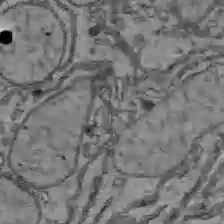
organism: C57BL Mouse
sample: Liver